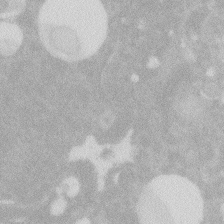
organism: Zebrafish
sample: Macrophage